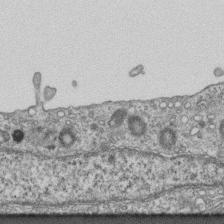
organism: Mouse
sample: Centriole in ependymal cells